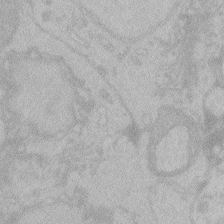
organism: Zebrafish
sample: Macrophage infected with Toxoplasma gondii